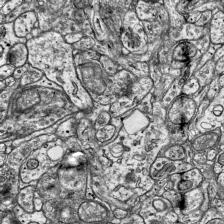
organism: Mouse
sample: Visual Cortex